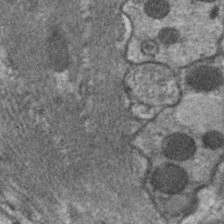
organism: C. elegans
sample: Pharynx